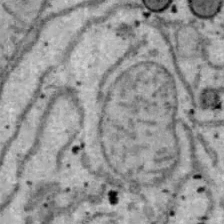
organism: Mouse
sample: Liver from an obese (ob/ob) mouse